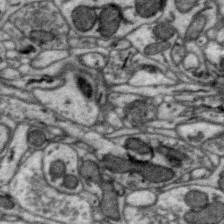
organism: Zebra finch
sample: Brain